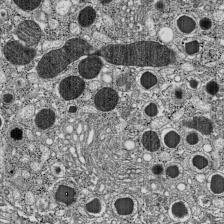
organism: C57BL Mouse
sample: Pancreatic islet